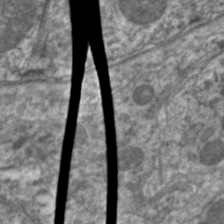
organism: C. elegans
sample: Pharynx